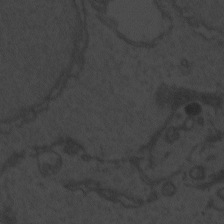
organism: Zebrafish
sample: Macrophage infected with Toxoplasma gondii